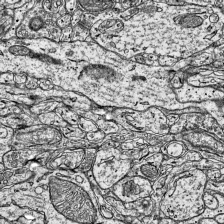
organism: Mouse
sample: Visual Cortex